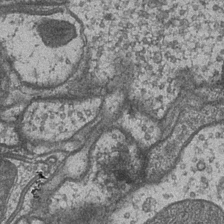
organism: Drosophila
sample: Optic medulla